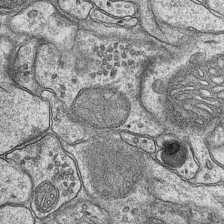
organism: Mouse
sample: CA1 Hippocampus